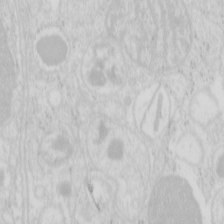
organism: Mouse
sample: Pancreas